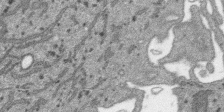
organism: Human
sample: Lung epithelial cells infected with SARS-CoV-2